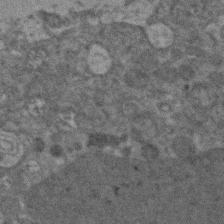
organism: Zebrafish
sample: Zebrafish embryo